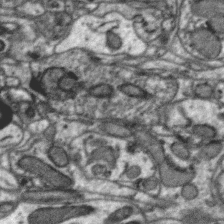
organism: Zebra finch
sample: Brain